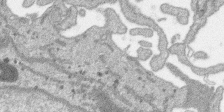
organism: Human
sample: Lung epithelial cells infected with SARS-CoV-2